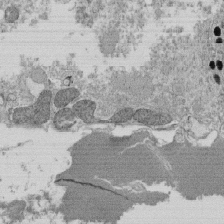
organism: Tetrahymena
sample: Cilia in tetrahymena